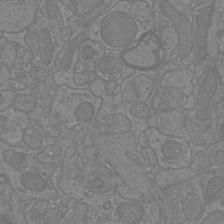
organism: Mouse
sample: Cortical neurons